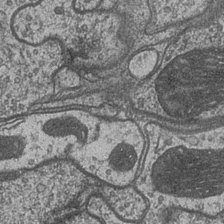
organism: Drosophila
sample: Optic medulla